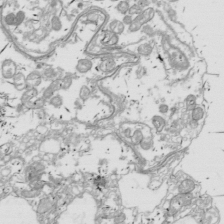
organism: Drosophila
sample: Cell division; meiosis; drosophila spermatocytes